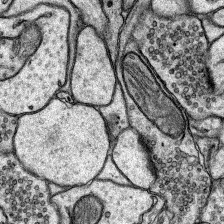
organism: Rat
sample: Hippocampus